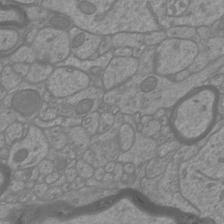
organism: Mouse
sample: Cortical neurons